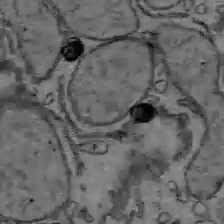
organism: C57BL Mouse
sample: Liver